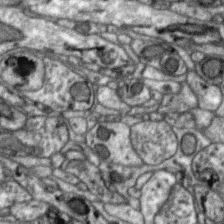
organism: Zebra finch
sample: Brain